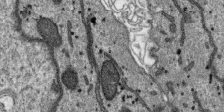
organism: Human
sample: Lung epithelial cells, uninfected (mock) control